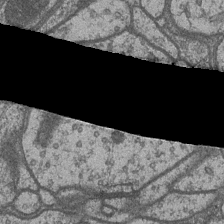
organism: Drosophila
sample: Optic medulla